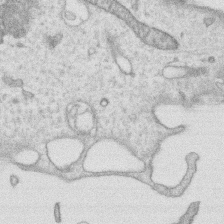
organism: Human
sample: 1205lu cells